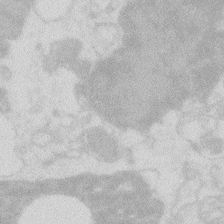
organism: Zebrafish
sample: Macrophage